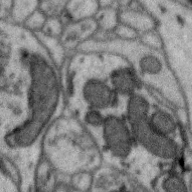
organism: Zebra finch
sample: Brain